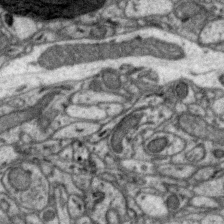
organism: Zebra finch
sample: Brain